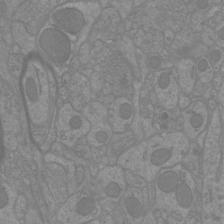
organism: Mouse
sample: Cortical neurons